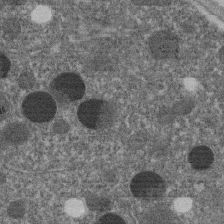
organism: C. elegans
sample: C. elegans embryo early stage